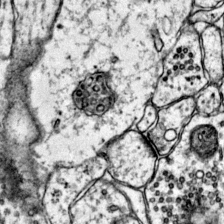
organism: Mouse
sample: Primary visual cortex